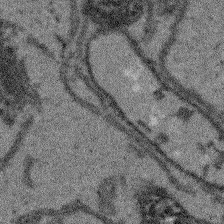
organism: Arabidopsis thaliana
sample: Root tip